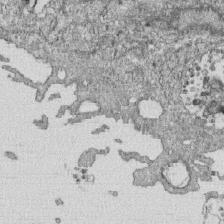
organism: Human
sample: HeLa cell HIV synapse